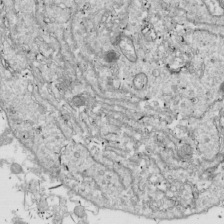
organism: Drosophila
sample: Cell division; meiosis; drosophila spermatocytes